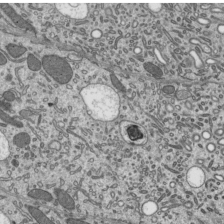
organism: Mouse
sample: Mouse epididymis efferent ductule cilia